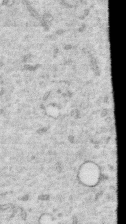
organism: Human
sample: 1205lu cells